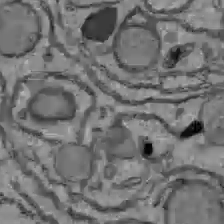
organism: C57BL Mouse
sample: Liver